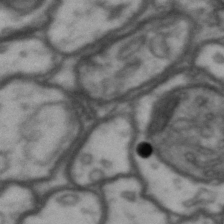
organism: Drosophila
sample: Brain